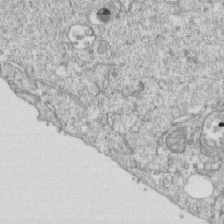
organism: Mouse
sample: Activated OT-1 CD8+ T cells